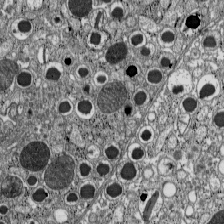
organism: C57BL Mouse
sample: Pancreatic islet